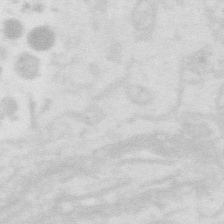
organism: Human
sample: HeLa cells